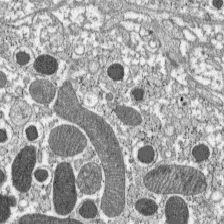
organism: C57BL Mouse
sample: Pancreatic islet